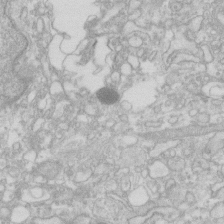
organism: Human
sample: Fibroblast cells